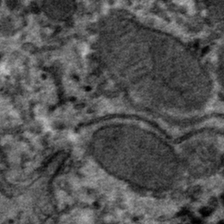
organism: Mouse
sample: Mouse hepatocytes